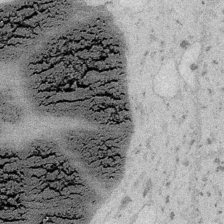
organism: Embia sp.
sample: Silk gland